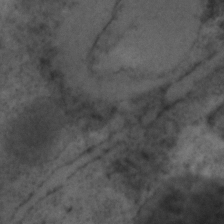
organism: C. elegans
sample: C. elegans embryo